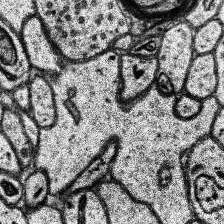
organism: Human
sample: Temporal Lobe